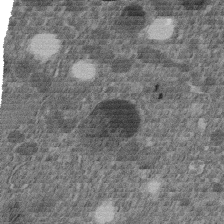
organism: C. elegans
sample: C. elegans embryo early stage